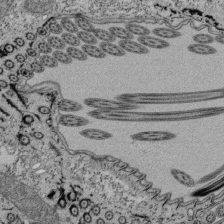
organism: Tetrahymena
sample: Cilia in tetrahymena